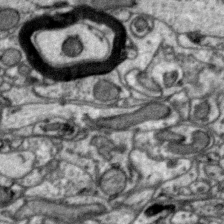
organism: Zebra finch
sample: Brain